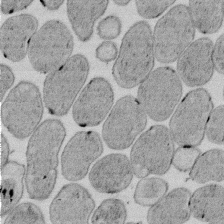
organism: E. coli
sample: Bacterial nucleoid